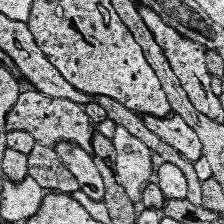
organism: Human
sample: Temporal Lobe